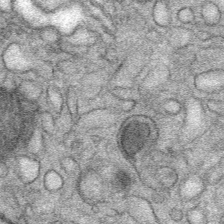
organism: Mouse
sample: Mouse Salivary gland